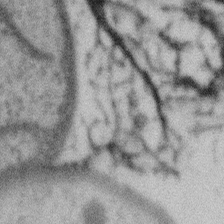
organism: Gemmata obscuriglobus